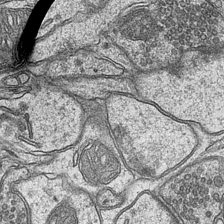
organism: Mouse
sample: CA1 Hippocampus